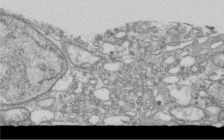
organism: Human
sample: Centriole in RPE cells